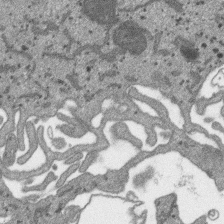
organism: Human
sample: Lung epithelial cells infected with SARS-CoV-2